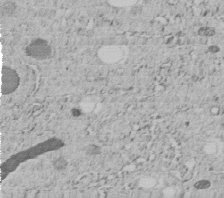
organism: C. elegans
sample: C. elegans embryo early stage